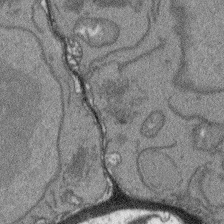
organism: Arabidopsis thaliana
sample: Root tip